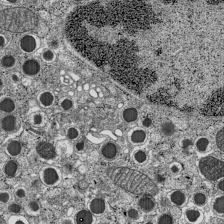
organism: C57BL Mouse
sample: Pancreatic islet